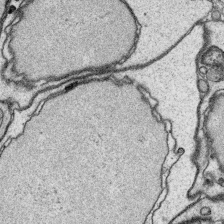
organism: Platynereis dumerilii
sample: Parapodia